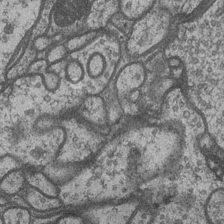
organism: Drosophila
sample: Optic medulla